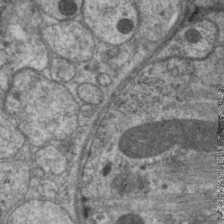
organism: C. elegans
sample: Pharynx